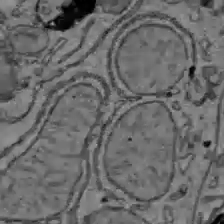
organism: C57BL Mouse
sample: Liver